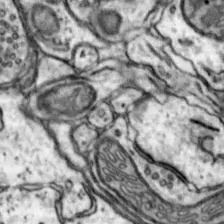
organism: Mouse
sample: Nucleus accumbens